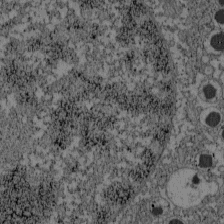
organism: C57BL Mouse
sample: Pancreatic islet